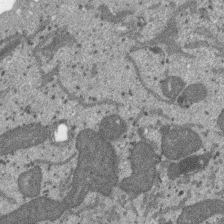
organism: Human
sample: Lung epithelial cells infected with SARS-CoV-2